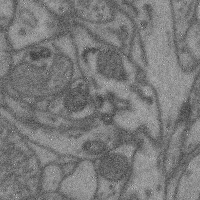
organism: Mouse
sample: Cerebral cortex